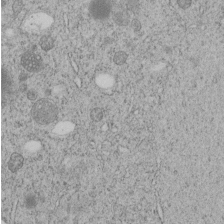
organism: C. elegans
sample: C. elegans embryo early stage